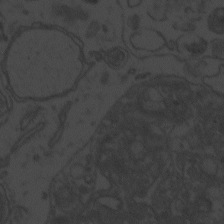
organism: Zebrafish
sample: Macrophage infected with Toxoplasma gondii